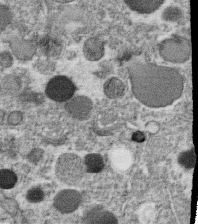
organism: C. elegans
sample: C. elegans oocyte; sperm cells